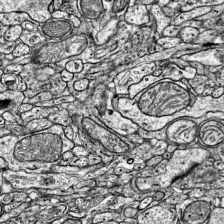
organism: Mouse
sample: Visual Cortex